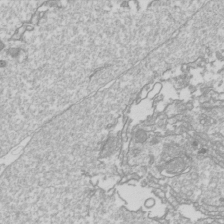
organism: Drosophila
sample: Cell division; meiosis; drosophila spermatocytes